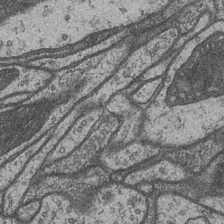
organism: Drosophila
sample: Optic medulla